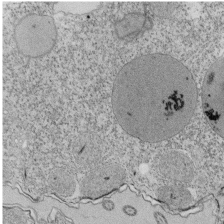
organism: Tetrahymena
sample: Cilia in tetrahymena